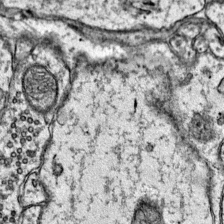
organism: Mouse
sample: Primary visual cortex